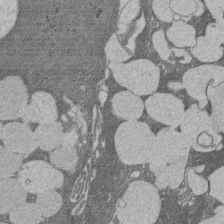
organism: Rat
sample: Salivary granule